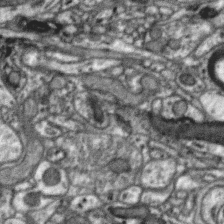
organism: Zebra finch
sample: Brain